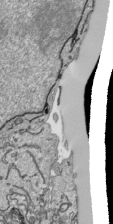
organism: Human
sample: Mitochondria in HCT116 cells